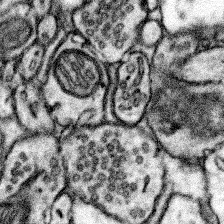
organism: Mouse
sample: Somatosensory cortex neuropil